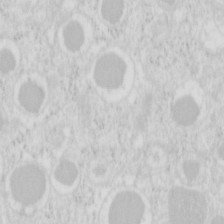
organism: Mouse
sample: Pancreas